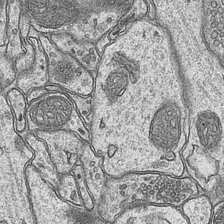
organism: Mouse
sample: CA1 Hippocampus